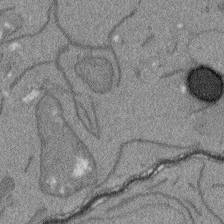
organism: Arabidopsis thaliana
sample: Root tip